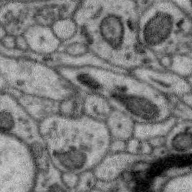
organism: Zebra finch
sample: Brain